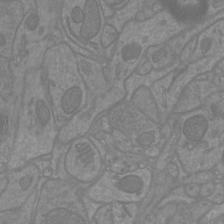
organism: Mouse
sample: Cortical neurons